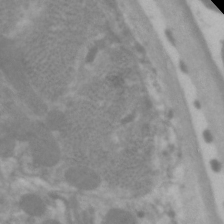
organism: C. elegans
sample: Pharynx